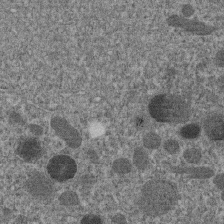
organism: C. elegans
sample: C. elegans embryo early stage